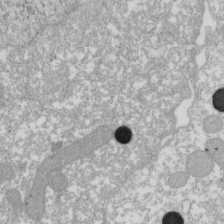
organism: Xenopus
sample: Cilia; centrioles in frog embryo cells